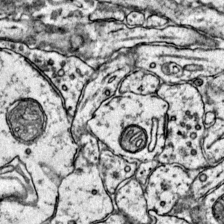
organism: Mouse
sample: Primary visual cortex